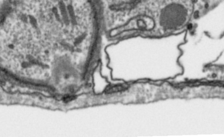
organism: Toxoplasma gondii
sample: Parasites in a vacuole inside a host cell